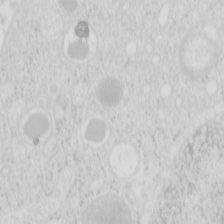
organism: Mouse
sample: Pancreas